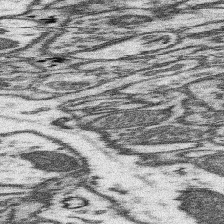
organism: Mouse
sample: Somatosensory cortex neuropil